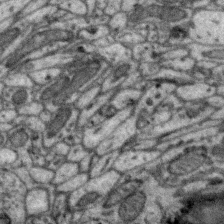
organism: Zebra finch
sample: Brain